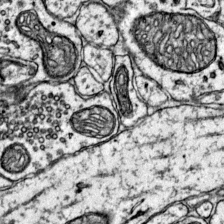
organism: Mouse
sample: Primary visual cortex